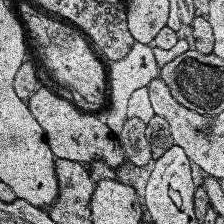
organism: Human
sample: Temporal Lobe